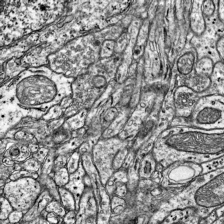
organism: Mouse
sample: Visual Cortex